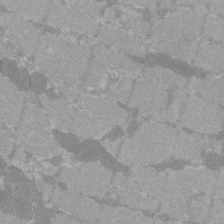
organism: C57BL Mouse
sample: Tibialis anterior muscle cell